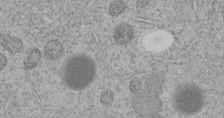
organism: C. elegans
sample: C. elegans embryo early stage